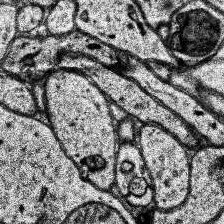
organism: Human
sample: Temporal Lobe